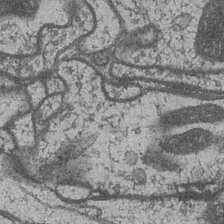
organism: Drosophila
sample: Optic medulla